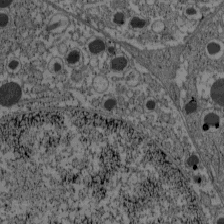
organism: C57BL Mouse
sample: Pancreatic islet